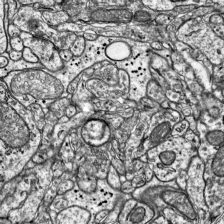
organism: Mouse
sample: Visual Cortex